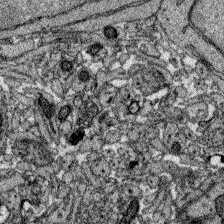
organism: Zebrafish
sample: Larval olfactory bulb